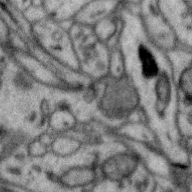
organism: Zebra finch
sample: Brain